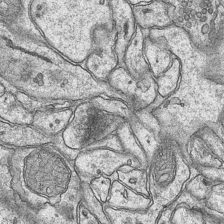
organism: Mouse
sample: CA1 Hippocampus